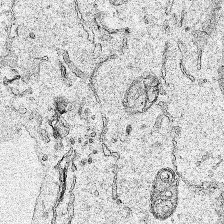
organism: Human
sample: Mitochondria in HCT116 cells